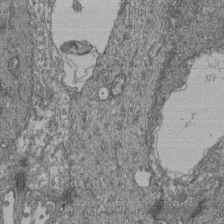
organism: Human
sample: Retinal organoid Rod and Cone cells